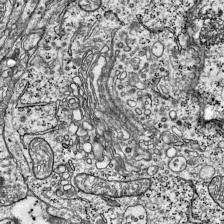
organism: Mouse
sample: Visual Cortex